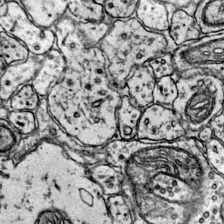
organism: Mouse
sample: Primary visual cortex